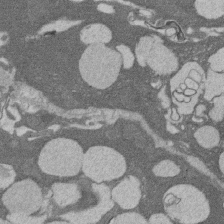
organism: Rat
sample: Salivary granule